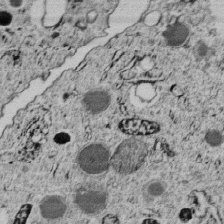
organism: C. elegans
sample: C. elegans embryo early stage